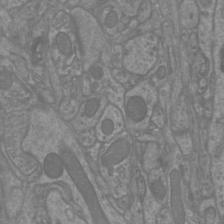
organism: Mouse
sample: Cortical neurons